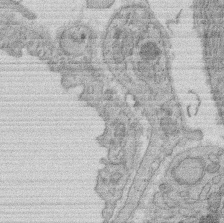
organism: Rat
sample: Salivary granule